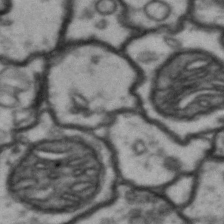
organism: Drosophila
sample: Brain